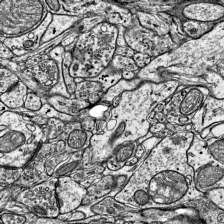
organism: Mouse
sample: Visual Cortex